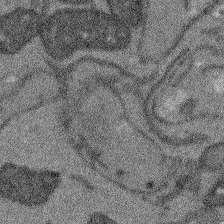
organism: Arabidopsis thaliana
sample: Root tip